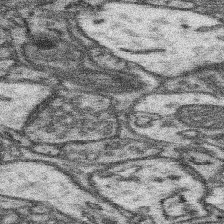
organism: Mouse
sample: Somatosensory cortex neuropil